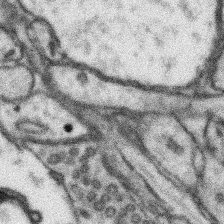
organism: Mouse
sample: Somatosensory cortex neuropil